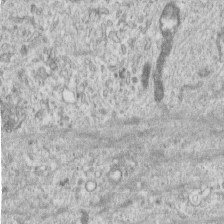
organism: Human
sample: Centriole in RPE cells